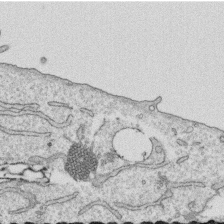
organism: Human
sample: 1205lu cells